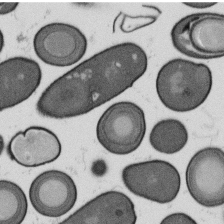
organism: B. subtilis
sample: Bacterial spore